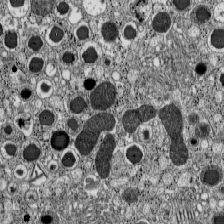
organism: C57BL Mouse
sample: Pancreatic islet